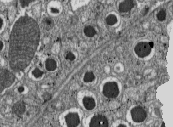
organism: C57BL Mouse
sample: Pancreatic islet